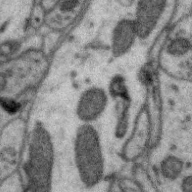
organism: Zebra finch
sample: Brain